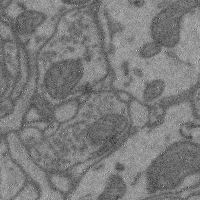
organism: Mouse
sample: Cerebral cortex